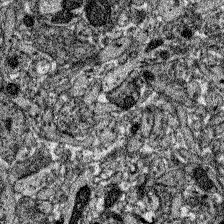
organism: Zebrafish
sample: Larval olfactory bulb